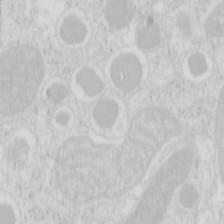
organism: Mouse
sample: Pancreas